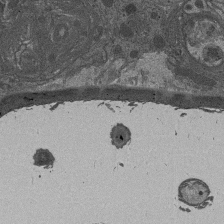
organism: Drosophila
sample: Antenna